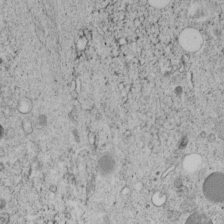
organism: C. elegans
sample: C. elegans embryo early stage